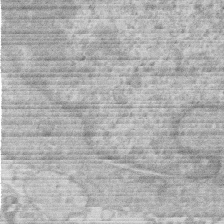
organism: Human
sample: Macrophage cells